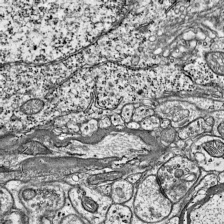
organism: Mouse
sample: Visual Cortex